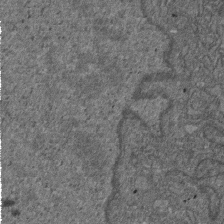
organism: Drosophila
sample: Nephrocyte